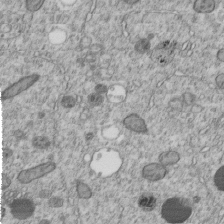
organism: C. elegans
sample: C. elegans embryo early stage